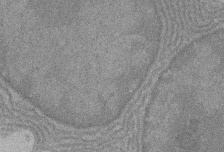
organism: Rat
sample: Salivary granule